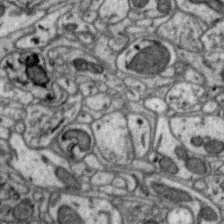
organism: Zebra finch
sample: Brain